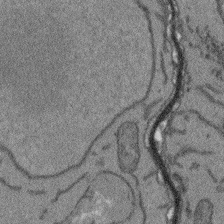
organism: Arabidopsis thaliana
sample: Root tip